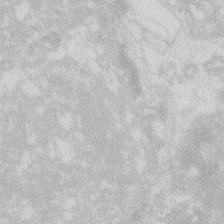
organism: Zebrafish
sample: Macrophage